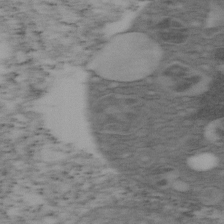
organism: Mouse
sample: OT-I killer T cells with ID8 ovarian cancer cells